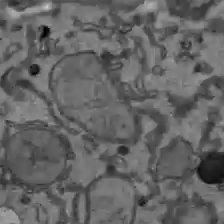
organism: C57BL Mouse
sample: Liver